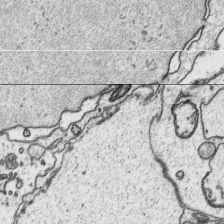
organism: Platynereis dumerilii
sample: Parapodia